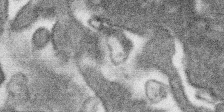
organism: Human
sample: Lung epithelial cells infected with SARS-CoV-2